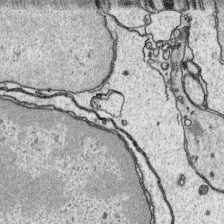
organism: Platynereis dumerilii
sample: Parapodia